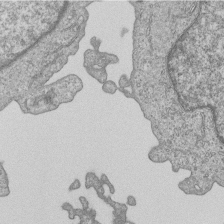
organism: Human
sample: MDA-MB-231 cells